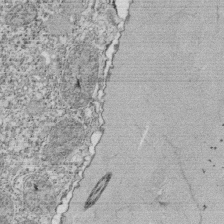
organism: Tetrahymena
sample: Cilia in tetrahymena